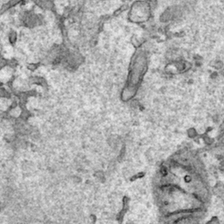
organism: Human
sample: Mitochondria in HCT116 cells